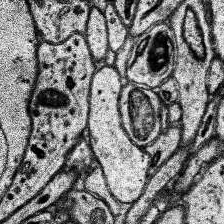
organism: Human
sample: Temporal Lobe